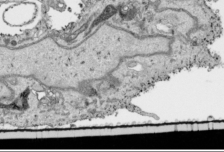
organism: Human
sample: Mitochondria in HCT116 cells